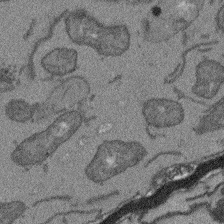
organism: Arabidopsis thaliana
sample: Root tip